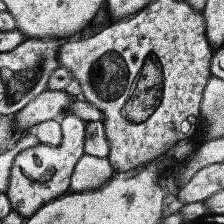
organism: Human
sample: Temporal Lobe